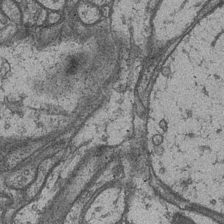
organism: Drosophila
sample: Optic medulla